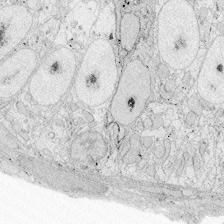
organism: Zebrafish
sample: Whole-Brain